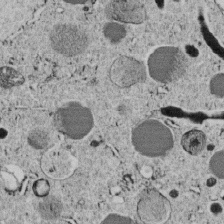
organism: C. elegans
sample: C. elegans embryo early stage